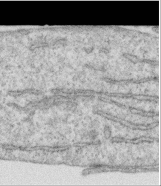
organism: Human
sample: Centriole in RPE cells